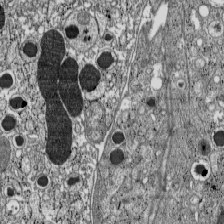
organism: C57BL Mouse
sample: Pancreatic islet